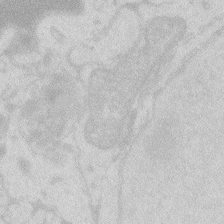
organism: Zebrafish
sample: Macrophage